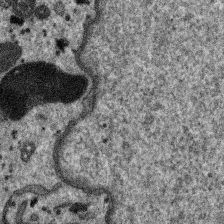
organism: Human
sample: Lung epithelial cells infected with SARS-CoV-2